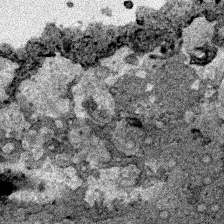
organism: Human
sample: Mitochondria in HCT116 cells